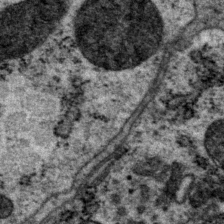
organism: P. pacificus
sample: Pharynx